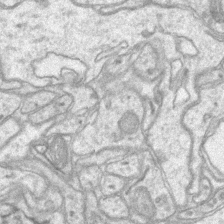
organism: Mouse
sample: CA1 Hippocampus